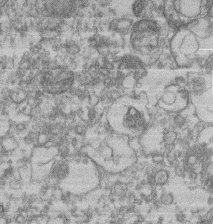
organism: Mouse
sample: T cell stromal cell synapse